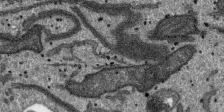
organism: Human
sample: Lung epithelial cells, uninfected (mock) control